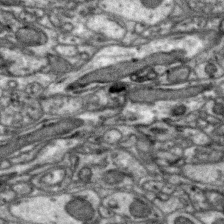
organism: Zebra finch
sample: Brain